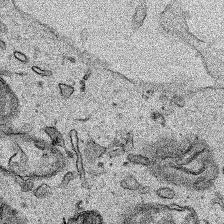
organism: Human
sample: Mitochondria in HCT116 cells